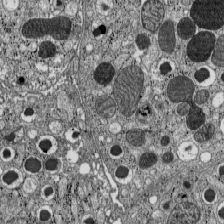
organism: C57BL Mouse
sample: Pancreatic islet